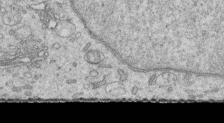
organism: Human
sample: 1205lu cells